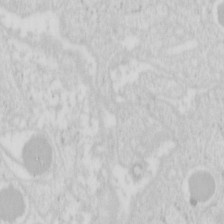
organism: Mouse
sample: Pancreas